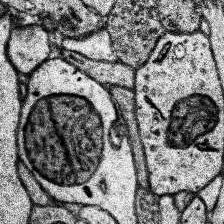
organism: Human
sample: Temporal Lobe